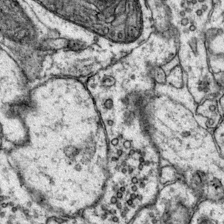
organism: Mouse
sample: Primary visual cortex